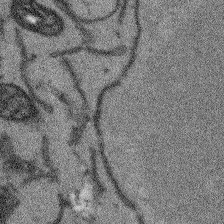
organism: Arabidopsis thaliana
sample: Root tip